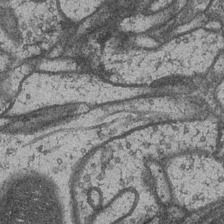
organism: Drosophila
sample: Optic medulla